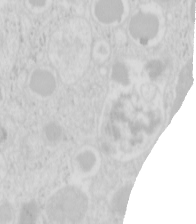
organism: Mouse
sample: Pancreas